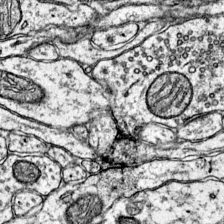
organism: Mouse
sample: Primary visual cortex